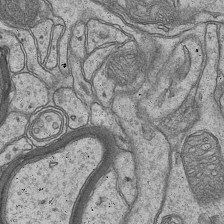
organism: Mouse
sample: CA1 Hippocampus